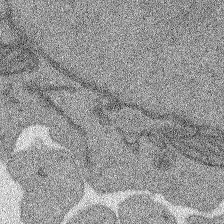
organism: Human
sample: HeLa cells